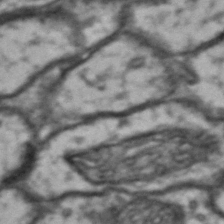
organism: Drosophila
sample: Brain